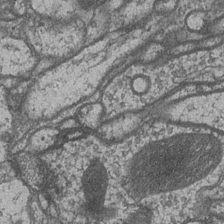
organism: Drosophila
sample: Optic medulla